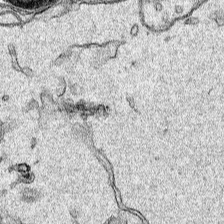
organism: Human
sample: Mitochondria in HCT116 cells